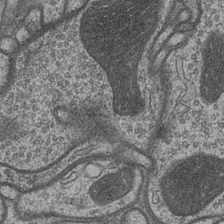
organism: Drosophila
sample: Optic medulla